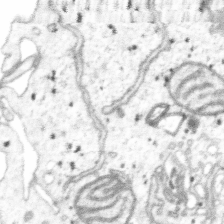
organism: Human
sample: HeLa cells